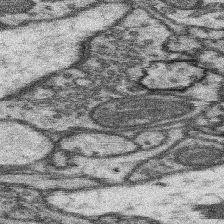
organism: Mouse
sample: Somatosensory cortex neuropil